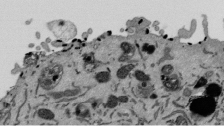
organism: Mouse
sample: ED-1 cell nuclei; centrioles